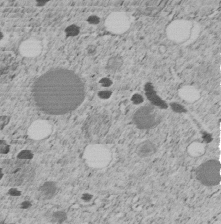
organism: C. elegans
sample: C. elegans embryo early stage